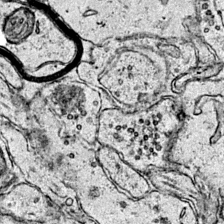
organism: Mouse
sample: Primary visual cortex